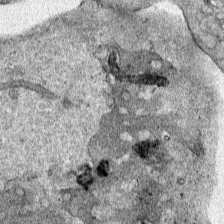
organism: Human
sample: Mitochondria in HCT116 cells